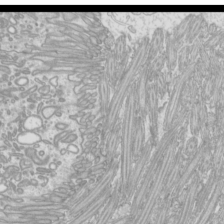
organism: Mouse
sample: Cilia; mouse epididymis